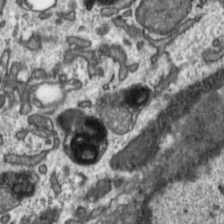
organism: Toxoplasma gondii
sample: Parasites in a vacuole inside a host cell